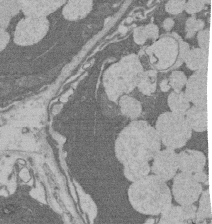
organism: Rat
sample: Salivary granule